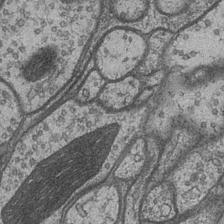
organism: Drosophila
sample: Optic medulla